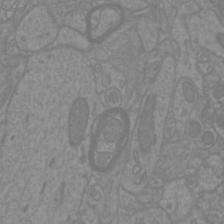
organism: Mouse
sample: Cortical neurons